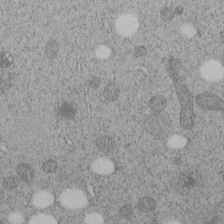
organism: C. elegans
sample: C. elegans embryo early stage